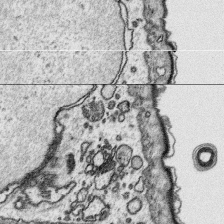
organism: Platynereis dumerilii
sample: Parapodia